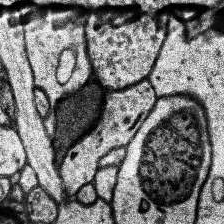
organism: Human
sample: Temporal Lobe